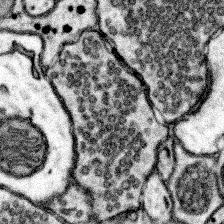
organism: Mouse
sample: Somatosensory cortex neuropil